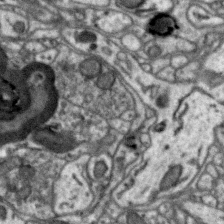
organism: Zebra finch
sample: Brain